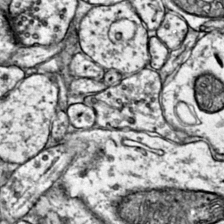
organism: Mouse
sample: Primary visual cortex